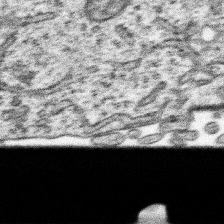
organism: Human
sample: HeLa cells